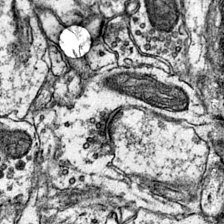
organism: Mouse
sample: Primary visual cortex